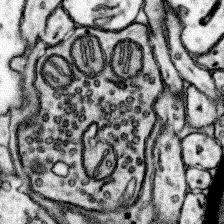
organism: Mouse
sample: Somatosensory cortex neuropil